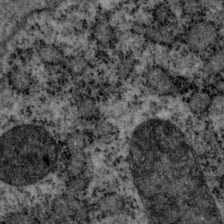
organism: P. pacificus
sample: Pharynx